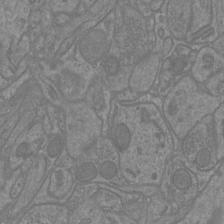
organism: Mouse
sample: Cortical neurons